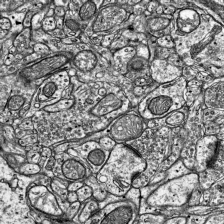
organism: Mouse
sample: Visual Cortex